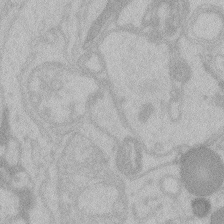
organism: Zebrafish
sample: Macrophage infected with Toxoplasma gondii